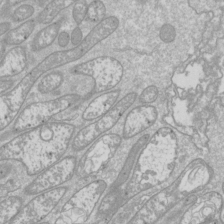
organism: Drosophila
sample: Cell division; meiosis; drosophila spermatocytes